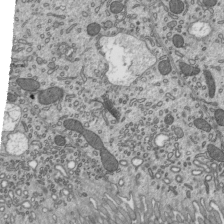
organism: Mouse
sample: Mouse epididymis efferent ductule cilia